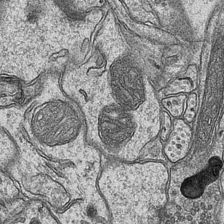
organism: Mouse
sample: CA1 Hippocampus